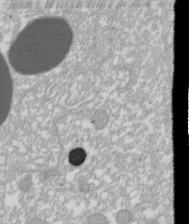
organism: Xenopus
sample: Cilia; centrioles in frog embryo cells